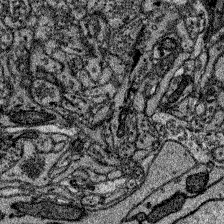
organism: Zebrafish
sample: Larval olfactory bulb